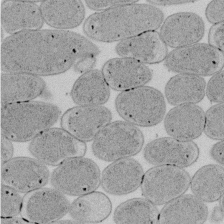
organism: E. coli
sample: Bacterial nucleoid